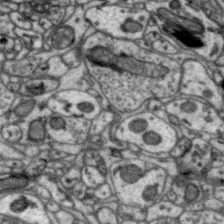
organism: Zebra finch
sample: Brain